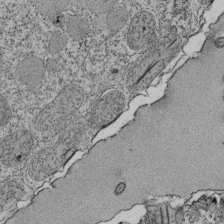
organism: Tetrahymena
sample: Cilia in tetrahymena